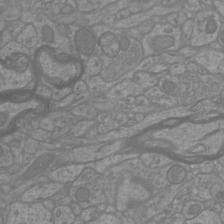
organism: Mouse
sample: Cortical neurons